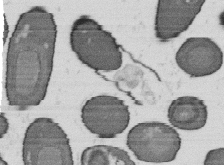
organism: B. subtilis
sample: Bacterial spore